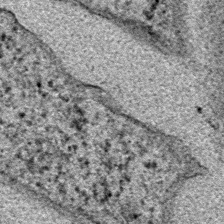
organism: E. coli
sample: E. Coli Bacteria